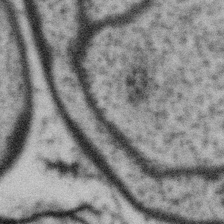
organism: Gemmata obscuriglobus